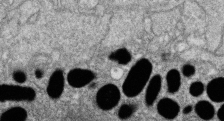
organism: Zebrafish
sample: Cilia; retinal pigment epithelium